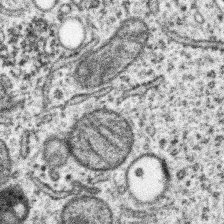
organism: Human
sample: HeLa cells